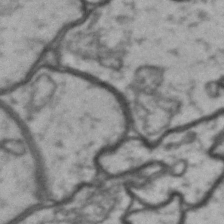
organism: Drosophila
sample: Brain